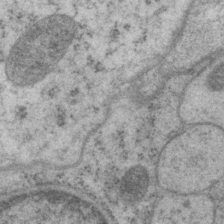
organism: P. pacificus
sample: Pharynx